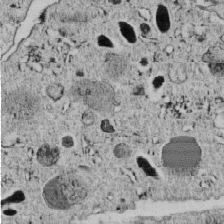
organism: C. elegans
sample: C. elegans embryo early stage